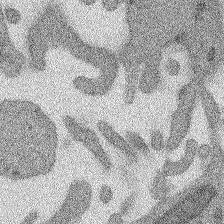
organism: Human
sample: HeLa cells